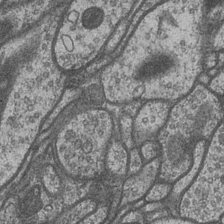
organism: Drosophila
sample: Optic medulla